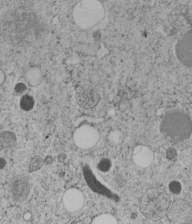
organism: C. elegans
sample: C. elegans embryo early stage